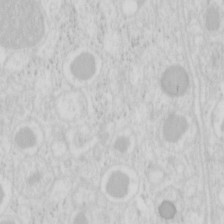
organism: Mouse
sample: Pancreas